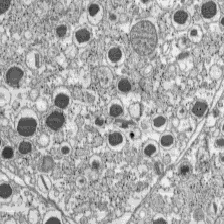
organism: C57BL Mouse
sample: Pancreatic islet